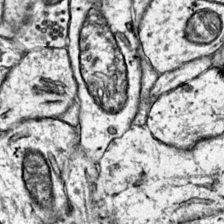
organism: Mouse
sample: Primary visual cortex